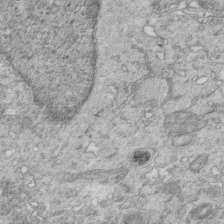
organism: Mouse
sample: Multiciliated cells